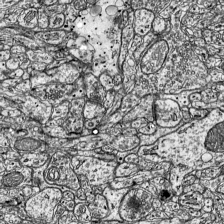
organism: Mouse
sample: Visual Cortex